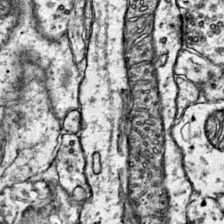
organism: Mouse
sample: Primary visual cortex